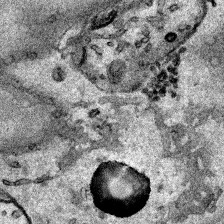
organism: Human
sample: Mitochondria in HCT116 cells